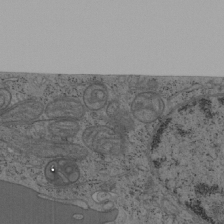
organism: Human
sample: HeLa cells